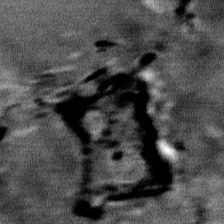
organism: Mouse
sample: Mouse Salivary gland